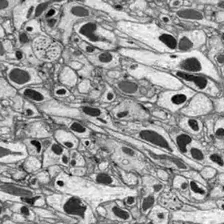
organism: Drosophila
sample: Optic lobe